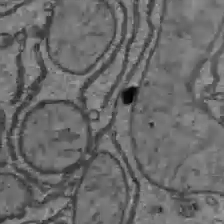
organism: C57BL Mouse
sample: Liver